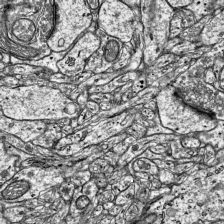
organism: Mouse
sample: Visual Cortex